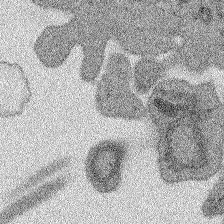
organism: Human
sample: HeLa cells